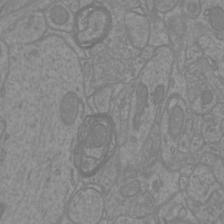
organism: Mouse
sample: Cortical neurons